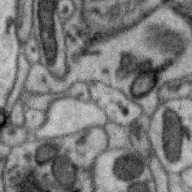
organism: Zebra finch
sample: Brain